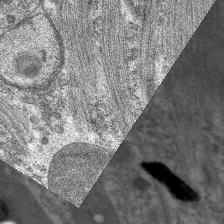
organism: C. elegans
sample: Pharynx